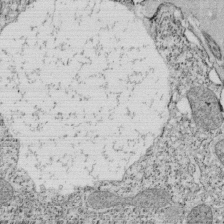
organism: Tetrahymena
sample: Cilia in tetrahymena